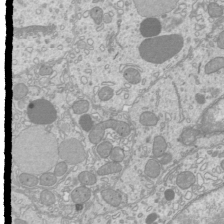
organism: Mouse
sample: Cilia; mouse epididymis